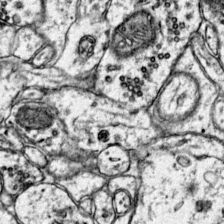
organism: Mouse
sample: Primary visual cortex